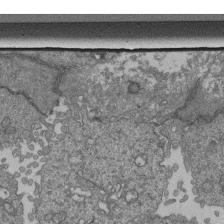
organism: Human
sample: Retinal organoid Rod and Cone cells